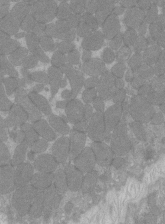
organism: C57BL Mouse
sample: Tibialis anterior muscle cell